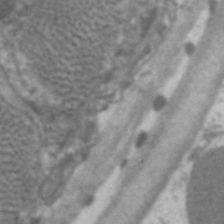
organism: C. elegans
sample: Pharynx